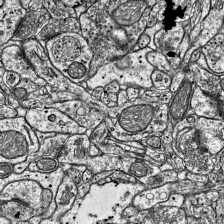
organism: Mouse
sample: Visual Cortex